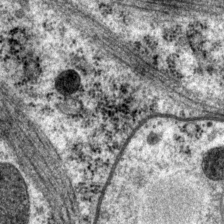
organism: P. pacificus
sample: Pharynx